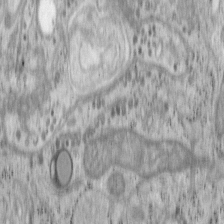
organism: Human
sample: HeLa cells